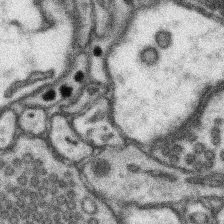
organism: Mouse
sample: Somatosensory cortex neuropil